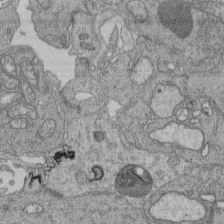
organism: Human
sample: Retinal organoid Rod and Cone cells